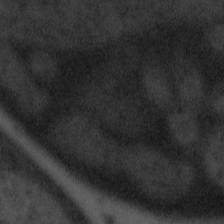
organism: Tuwongella immobilis